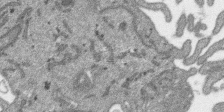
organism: Human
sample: Lung epithelial cells infected with SARS-CoV-2